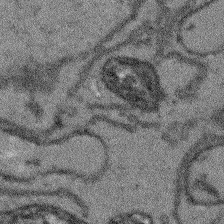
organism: Arabidopsis thaliana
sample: Root tip